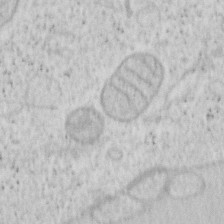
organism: Human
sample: HeLa cells